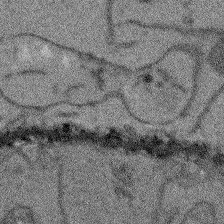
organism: Arabidopsis thaliana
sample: Root tip